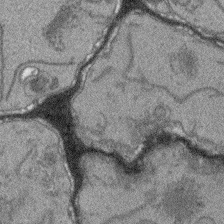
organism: Arabidopsis thaliana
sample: Root tip